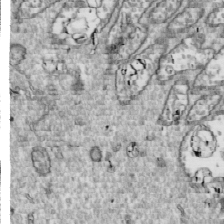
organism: Drosophila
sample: Cell division; meiosis; drosophila spermatocytes